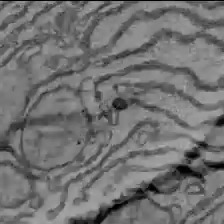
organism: C57BL Mouse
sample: Liver